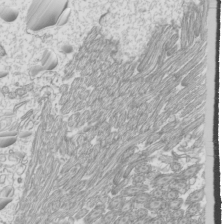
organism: Mouse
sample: Cilia; mouse epididymis